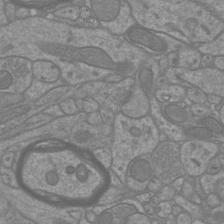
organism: Mouse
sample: Cortical neurons